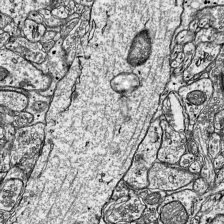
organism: Mouse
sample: Visual Cortex